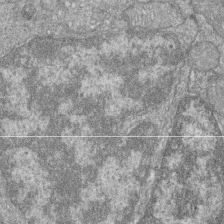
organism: Zebrafish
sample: Cilia; retinal pigment epithelium